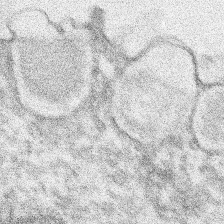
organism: Xenopus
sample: Cilia; centrioles in frog embryo cells